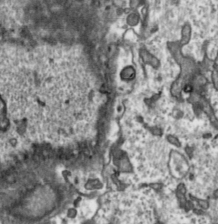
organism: Toxoplasma gondii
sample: Parasites in a vacuole inside a host cell